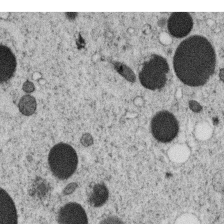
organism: C. elegans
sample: C. elegans oocyte; sperm cells